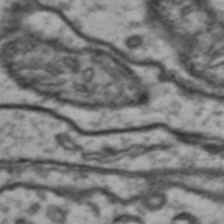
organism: Drosophila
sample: Brain